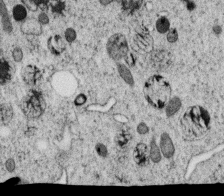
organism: C. elegans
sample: C. elegans oocyte; sperm cells